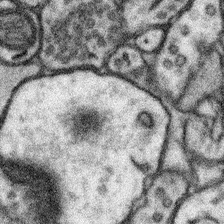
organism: Mouse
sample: Somatosensory cortex neuropil